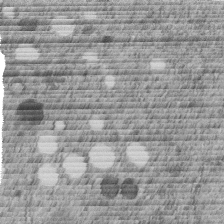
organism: C. elegans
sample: C. elegans embryo early stage